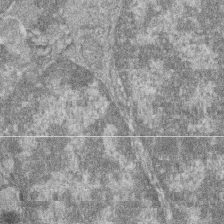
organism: Zebrafish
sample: Cilia; retinal pigment epithelium